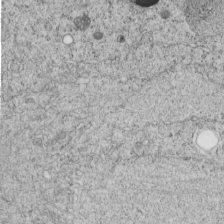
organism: C. elegans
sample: C. elegans embryo early stage